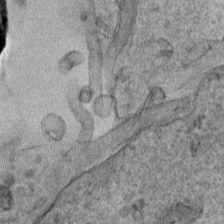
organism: Human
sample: Mitochondria in HCT116 cells